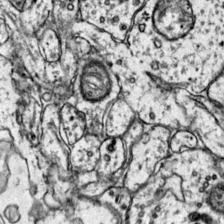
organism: Mouse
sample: Primary visual cortex